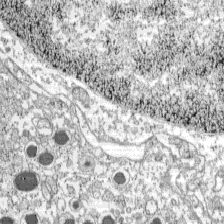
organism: C57BL Mouse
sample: Pancreatic islet